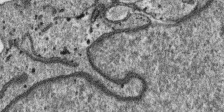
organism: Human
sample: Lung epithelial cells infected with SARS-CoV-2